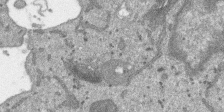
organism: Human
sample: Lung epithelial cells infected with SARS-CoV-2